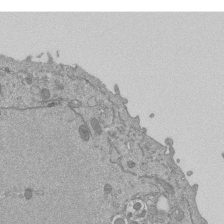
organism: Mouse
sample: ED-1 cell nuclei; centrioles